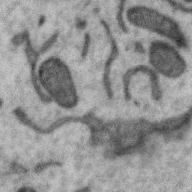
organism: Zebra finch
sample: Brain